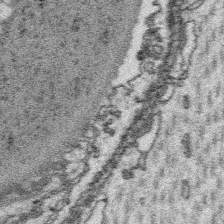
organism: Platynereis dumerilii